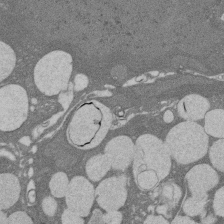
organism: Rat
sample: Salivary granule